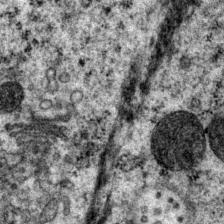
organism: P. pacificus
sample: Pharynx